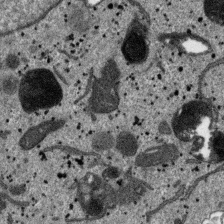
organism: Human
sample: Lung epithelial cells, uninfected (mock) control